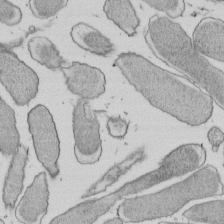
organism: E. coli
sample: Bacterial nucleoid